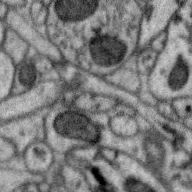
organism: Zebra finch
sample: Brain